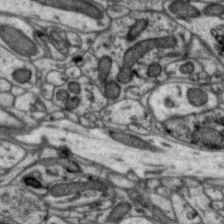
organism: Zebra finch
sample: Brain